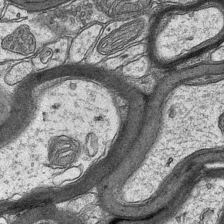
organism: Mouse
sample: CA1 Hippocampus